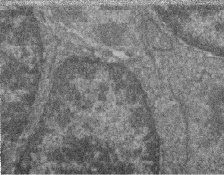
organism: Zebrafish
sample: Cilia; retinal pigment epithelium